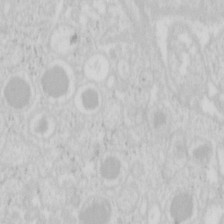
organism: Mouse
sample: Pancreas